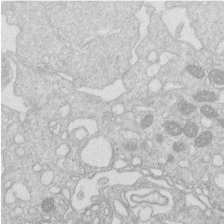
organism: Human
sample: Macrophage cells